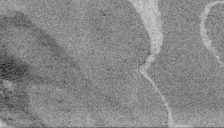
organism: Embia sp.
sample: Silk gland